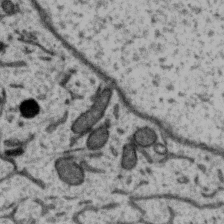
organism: Zebra finch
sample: Brain